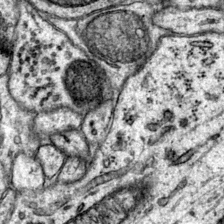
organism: Mouse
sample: Primary visual cortex